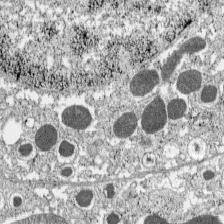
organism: C57BL Mouse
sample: Pancreatic islet